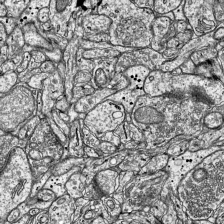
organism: Mouse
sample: Visual Cortex